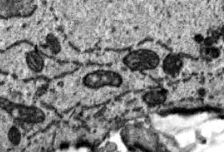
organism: Human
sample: HeLa cells